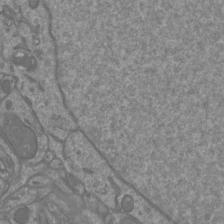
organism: Mouse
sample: Cortical neurons